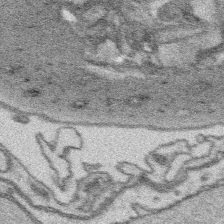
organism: Platynereis dumerilii